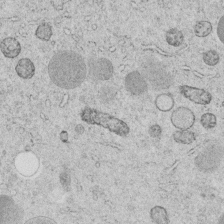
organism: C. elegans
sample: C. elegans embryo early stage